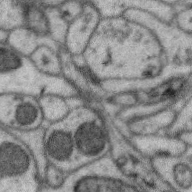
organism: Zebra finch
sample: Brain